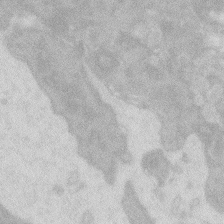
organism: Zebrafish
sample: Macrophage